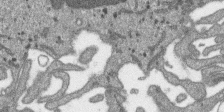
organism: Human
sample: Lung epithelial cells infected with SARS-CoV-2